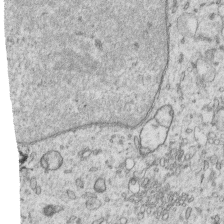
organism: Human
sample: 1205lu cells